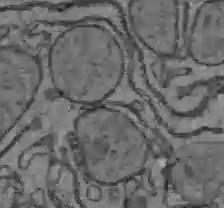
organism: C57BL Mouse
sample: Liver